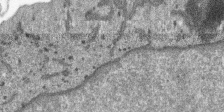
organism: Human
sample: Lung epithelial cells infected with SARS-CoV-2